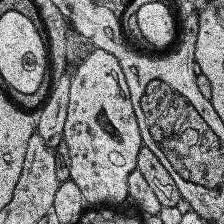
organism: Human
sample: Temporal Lobe